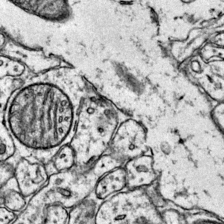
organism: Mouse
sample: Primary visual cortex